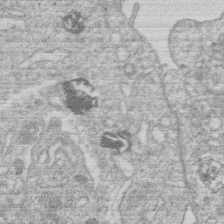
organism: Human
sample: Macrophage cells